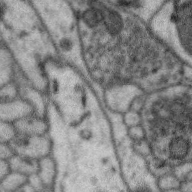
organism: Zebra finch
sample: Brain